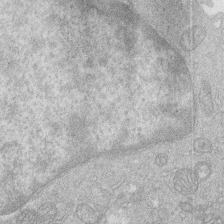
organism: Human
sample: Macrophage cells